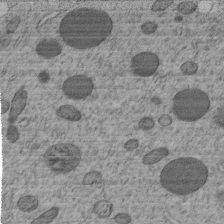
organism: C. elegans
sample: C. elegans embryo early stage